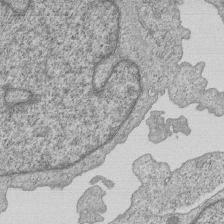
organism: Human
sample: MDA-MB-231 cells